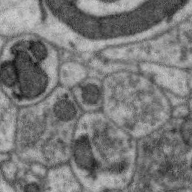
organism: Zebra finch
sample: Brain